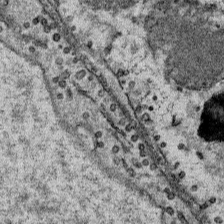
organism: Mouse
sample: Mouse Salivary gland